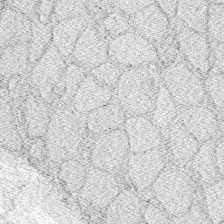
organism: Zebrafish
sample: Whole-Brain